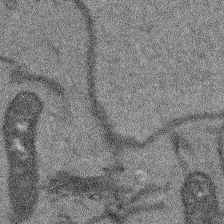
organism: Arabidopsis thaliana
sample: Root tip